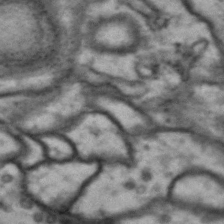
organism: Drosophila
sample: Brain